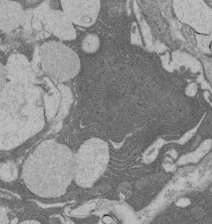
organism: Rat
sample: Salivary granule